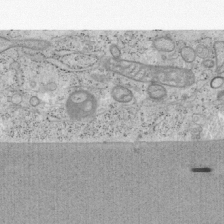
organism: Human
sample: HeLa cells